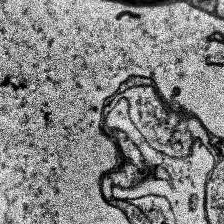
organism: Human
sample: Temporal Lobe